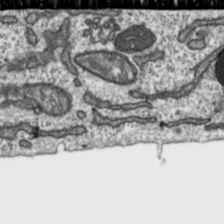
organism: Toxoplasma gondii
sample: Parasites in a vacuole inside a host cell